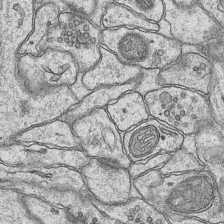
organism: Mouse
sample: CA1 Hippocampus